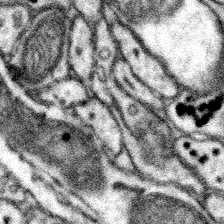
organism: Mouse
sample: Somatosensory cortex neuropil